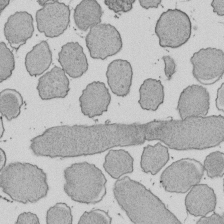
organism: E. coli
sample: Bacterial nucleoid